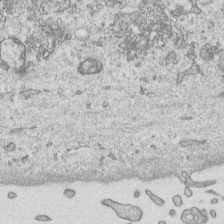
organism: Human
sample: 1205lu cells